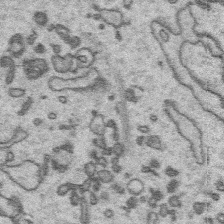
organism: Platynereis dumerilii